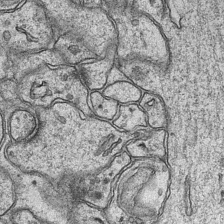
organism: Mouse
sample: CA1 Hippocampus